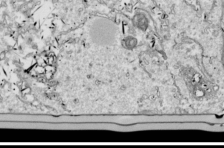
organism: Drosophila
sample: Cell division; meiosis; drosophila spermatocytes